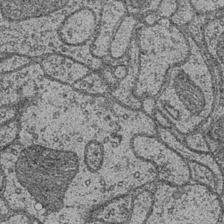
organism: Drosophila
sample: Optic medulla